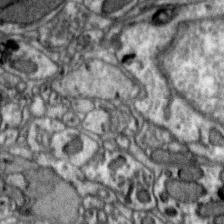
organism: Zebra finch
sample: Brain